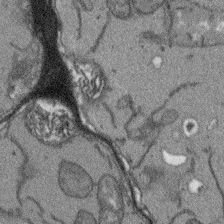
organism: Arabidopsis thaliana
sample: Root tip